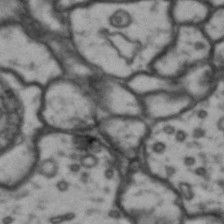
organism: Drosophila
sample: Brain